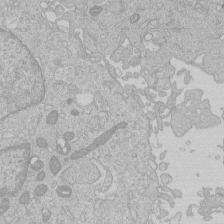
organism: Human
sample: Macrophage cells